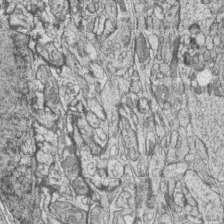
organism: Zebrafish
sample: synaptic ribbons in rod cells and cone cells